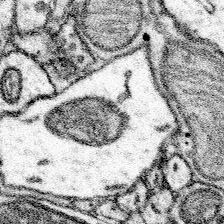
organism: Mouse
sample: Somatosensory cortex neuropil